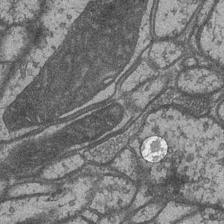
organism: Drosophila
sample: Optic medulla